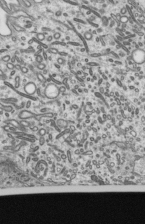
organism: Mouse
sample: Mouse epididymis efferent ductule cilia